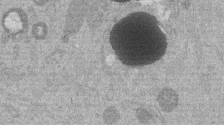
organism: Mouse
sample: Dividing mouse embryo 1 cell stage